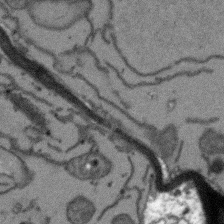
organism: Arabidopsis thaliana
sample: Root tip